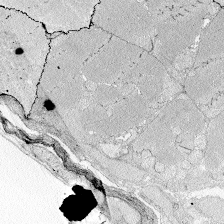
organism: Zebrafish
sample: Whole-Brain